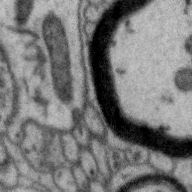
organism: Zebra finch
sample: Brain